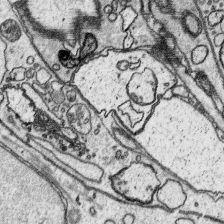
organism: Platynereis dumerilii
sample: Parapodia